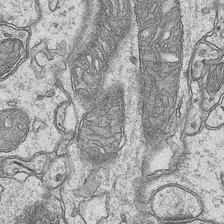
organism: Mouse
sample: CA1 Hippocampus